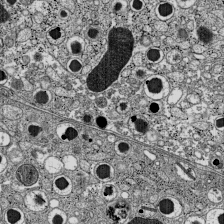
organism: C57BL Mouse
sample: Pancreatic islet